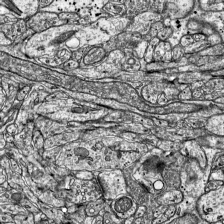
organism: Mouse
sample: Visual Cortex